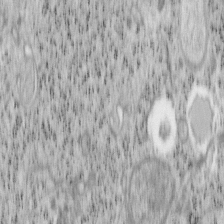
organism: Human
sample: HeLa cells